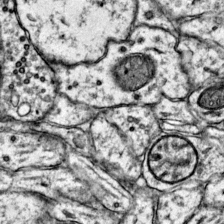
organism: Mouse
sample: Primary visual cortex